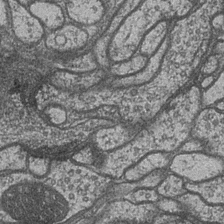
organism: Drosophila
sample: Optic medulla